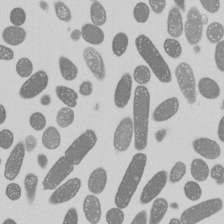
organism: E. coli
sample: Bacterial nucleoid